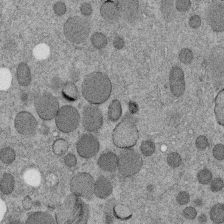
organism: C. elegans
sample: C. elegans embryo early stage